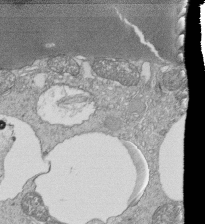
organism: Tetrahymena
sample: Cilia in tetrahymena